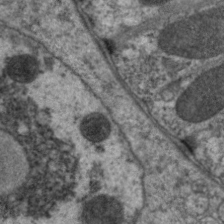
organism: C. elegans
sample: Pharynx